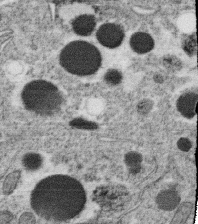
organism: C. elegans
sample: C. elegans oocyte; sperm cells